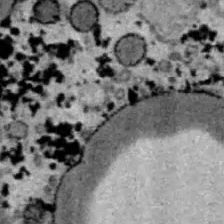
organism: Mouse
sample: Liver from an obese (ob/ob) mouse